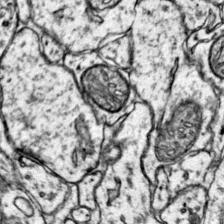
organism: Mouse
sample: Primary visual cortex